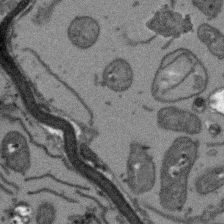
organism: Arabidopsis thaliana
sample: Root tip